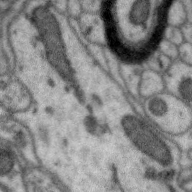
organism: Zebra finch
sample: Brain